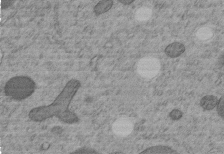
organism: C. elegans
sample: C. elegans embryo early stage